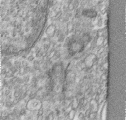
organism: Human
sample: Centriole in RPE cells